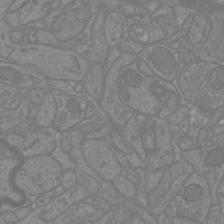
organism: Mouse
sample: Cortical neurons